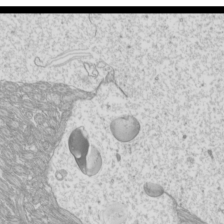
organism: Mouse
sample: Cilia; mouse epididymis